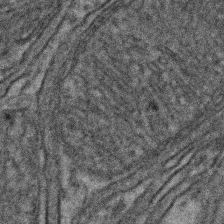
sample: Kidney